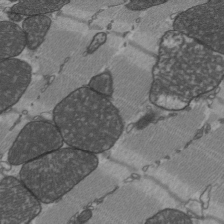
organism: C57BL Mouse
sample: Heart